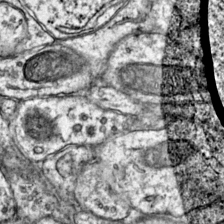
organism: Mouse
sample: Primary visual cortex